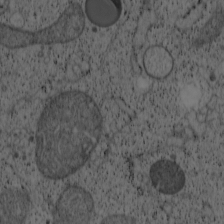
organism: African green monkey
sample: COS-7 cells